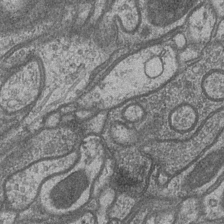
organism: Drosophila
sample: Optic medulla